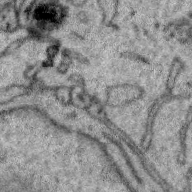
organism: Zebra finch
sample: Brain